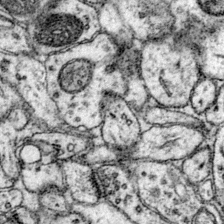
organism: Mouse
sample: Primary visual cortex